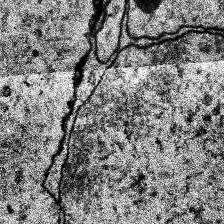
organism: Human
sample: Temporal Lobe